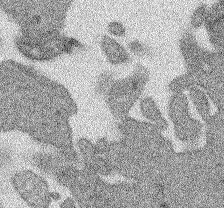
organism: Human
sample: HeLa cells